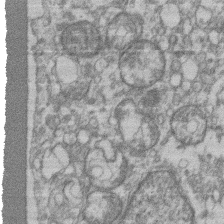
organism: Mouse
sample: T cell stromal cell synapse